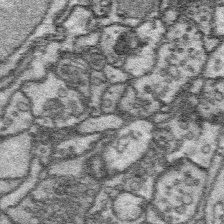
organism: Platynereis dumerilii